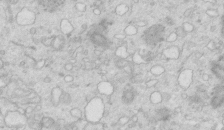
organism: Mouse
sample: Multiciliated cells